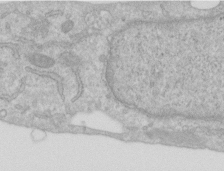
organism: Human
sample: Centriole in RPE cells